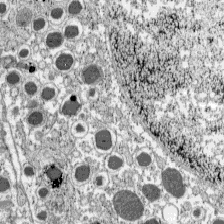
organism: C57BL Mouse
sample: Pancreatic islet